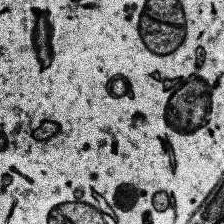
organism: Human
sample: Temporal Lobe